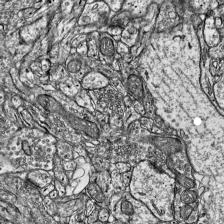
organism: Mouse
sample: Visual Cortex